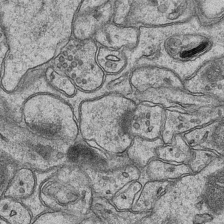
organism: Mouse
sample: CA1 Hippocampus